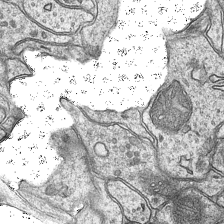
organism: Mouse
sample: CA1 Hippocampus